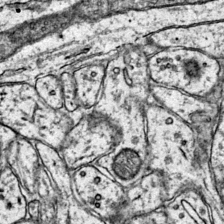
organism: Mouse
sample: Primary visual cortex